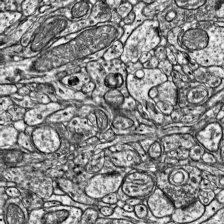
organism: Mouse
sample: Visual Cortex